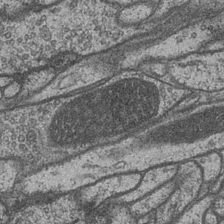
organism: Drosophila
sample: Optic medulla